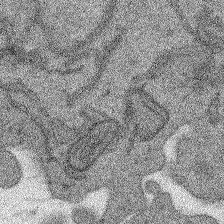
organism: Human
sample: HeLa cells